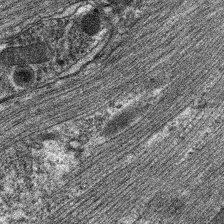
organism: C. elegans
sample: Pharynx